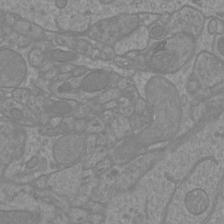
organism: Mouse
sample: Cortical neurons